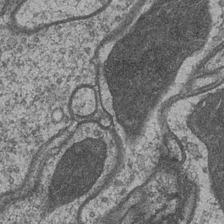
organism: Drosophila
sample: Optic medulla